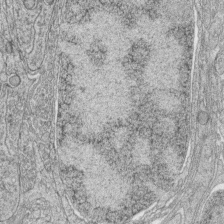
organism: Zebrafish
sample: synaptic ribbons in rod cells and cone cells